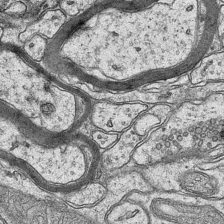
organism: Mouse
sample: CA1 Hippocampus